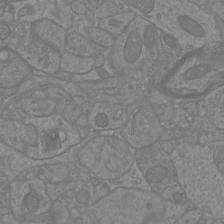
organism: Mouse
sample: Cortical neurons